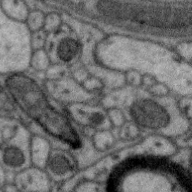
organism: Zebra finch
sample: Brain